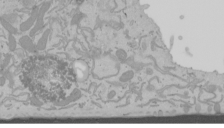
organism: Mouse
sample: Cancer cell death in ED-1 cells